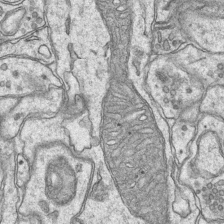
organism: Mouse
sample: CA1 Hippocampus